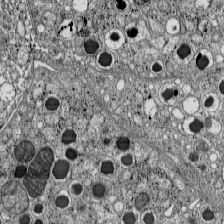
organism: C57BL Mouse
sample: Pancreatic islet